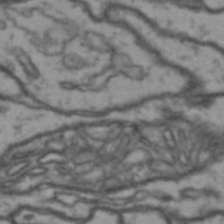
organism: Drosophila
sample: Brain